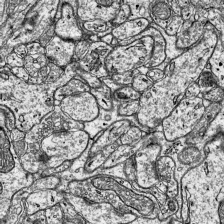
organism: Mouse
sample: Visual Cortex